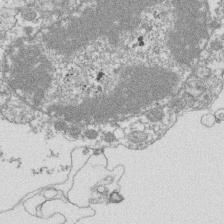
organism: Human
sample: HeLa cell HIV synapse